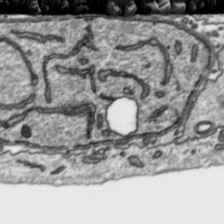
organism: Toxoplasma gondii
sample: Parasites in a vacuole inside a host cell